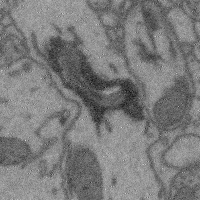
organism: Mouse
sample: Cerebral cortex